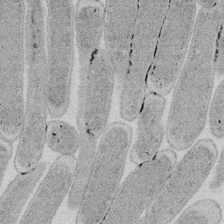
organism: E. coli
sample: Bacterial nucleoid